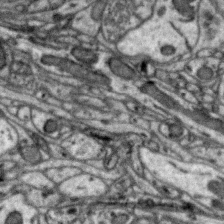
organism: Zebra finch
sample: Brain